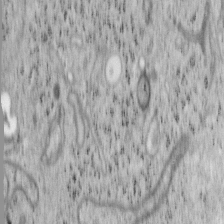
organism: Human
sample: HeLa cells